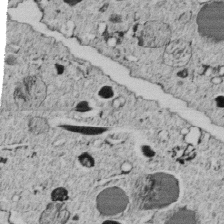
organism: C. elegans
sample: C. elegans embryo early stage